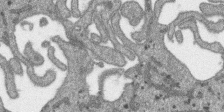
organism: Human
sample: Lung epithelial cells infected with SARS-CoV-2